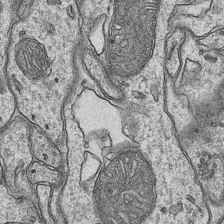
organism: Mouse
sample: CA1 Hippocampus